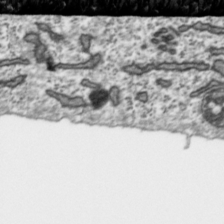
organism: Toxoplasma gondii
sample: Parasites in a vacuole inside a host cell